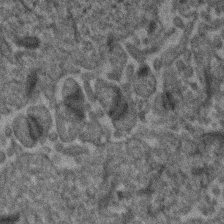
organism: Human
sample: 1205lu cells